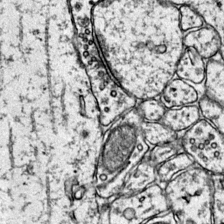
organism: Mouse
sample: Primary visual cortex